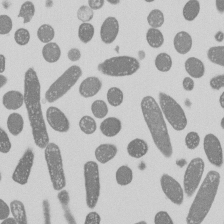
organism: E. coli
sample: Bacterial nucleoid